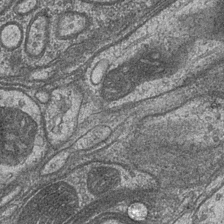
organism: Drosophila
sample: Optic medulla